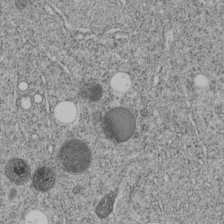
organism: C. elegans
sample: C. elegans embryo early stage